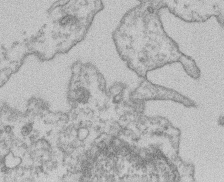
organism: Mouse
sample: T cell stromal cell synapse